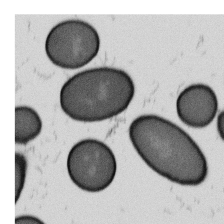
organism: B. subtilis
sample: Bacterial spore